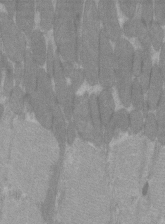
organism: C57BL Mouse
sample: Tibialis anterior muscle cell